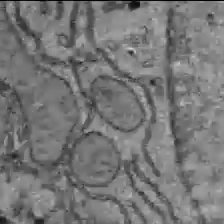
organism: C57BL Mouse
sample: Liver